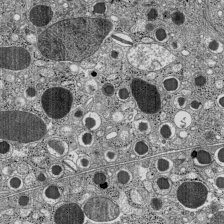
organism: C57BL Mouse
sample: Pancreatic islet